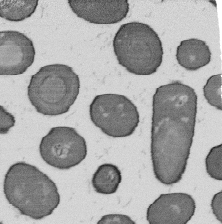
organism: B. subtilis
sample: Bacterial spore